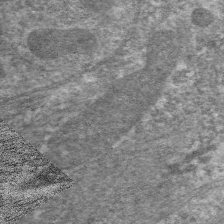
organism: C. elegans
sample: Pharynx